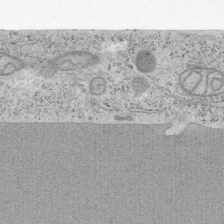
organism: Human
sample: HeLa cells